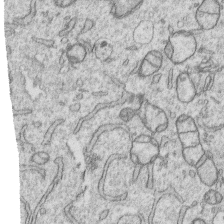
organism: Human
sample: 1205lu cells